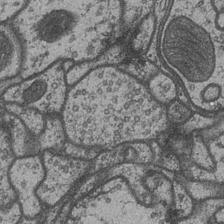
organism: Drosophila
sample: Optic medulla